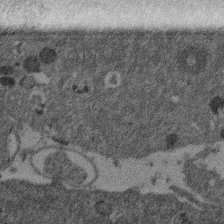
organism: Mouse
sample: Dividing mouse embryo 1 cell stage